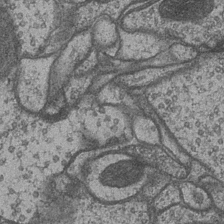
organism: Drosophila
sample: Optic medulla